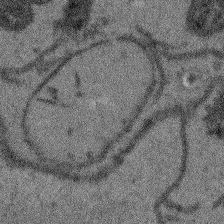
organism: Arabidopsis thaliana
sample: Root tip